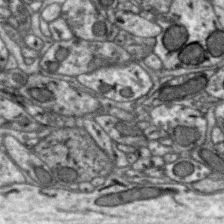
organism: Zebra finch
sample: Brain